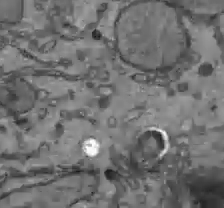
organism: C57BL Mouse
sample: Liver